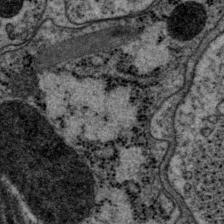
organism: P. pacificus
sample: Pharynx